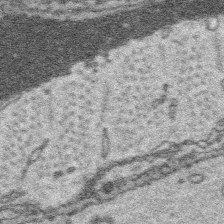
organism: Platynereis dumerilii